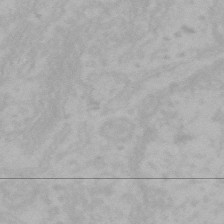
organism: Mouse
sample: Choroid plexus